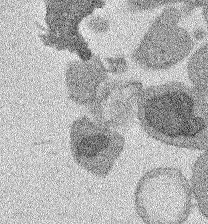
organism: Human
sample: HeLa cells